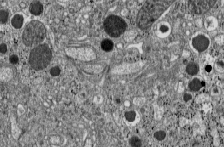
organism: C57BL Mouse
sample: Pancreatic islet